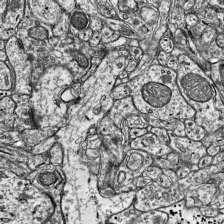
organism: Mouse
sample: Visual Cortex